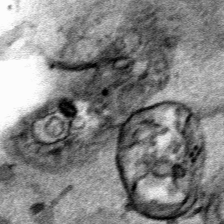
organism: Human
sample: Mitochondria in HCT116 cells